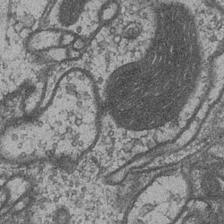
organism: Drosophila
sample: Optic medulla